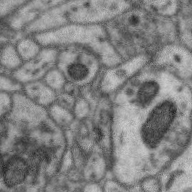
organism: Zebra finch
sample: Brain